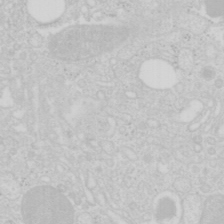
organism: Mouse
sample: Pancreas